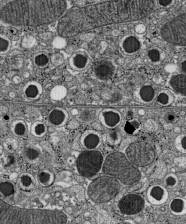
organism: C57BL Mouse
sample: Pancreatic islet